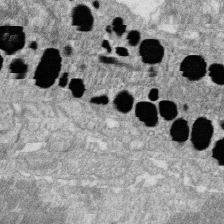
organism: Zebrafish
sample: Cilia; retinal pigment epithelium